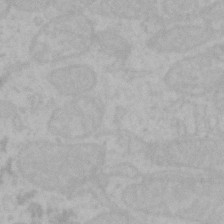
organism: Mouse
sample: Choroid plexus